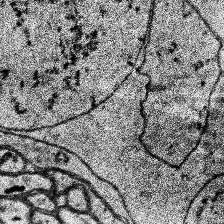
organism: Human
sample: Temporal Lobe